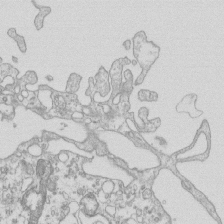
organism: Mouse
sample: Macrophages